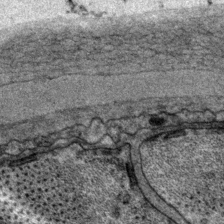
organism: P. pacificus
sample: Pharynx